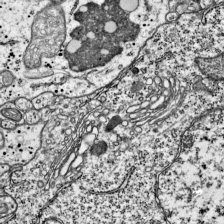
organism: Mouse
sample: Visual Cortex